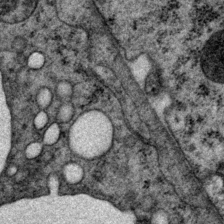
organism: P. pacificus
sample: Pharynx